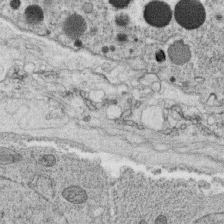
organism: C. elegans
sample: C. elegans oocyte; sperm cells